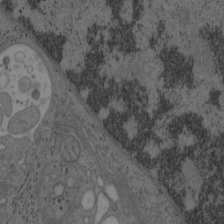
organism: Mouse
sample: OT-I killer T cells with ID8 ovarian cancer cells